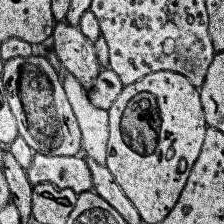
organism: Human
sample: Temporal Lobe